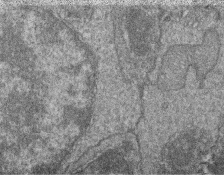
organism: Zebrafish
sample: Cilia; retinal pigment epithelium